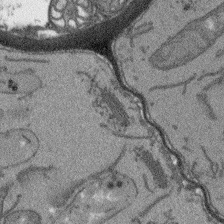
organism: Arabidopsis thaliana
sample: Root tip